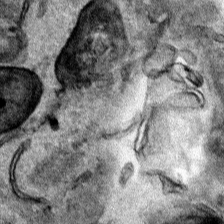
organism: Human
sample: Mitochondria in HCT116 cells